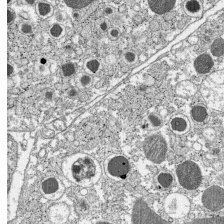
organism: C57BL Mouse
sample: Pancreatic islet